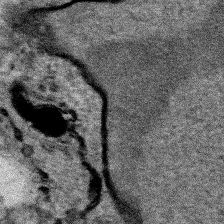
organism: Human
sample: Mitochondria in HCT116 cells